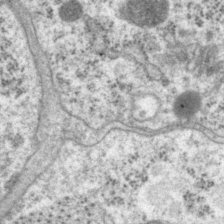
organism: P. pacificus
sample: Pharynx